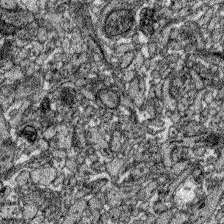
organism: Zebrafish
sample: Larval olfactory bulb